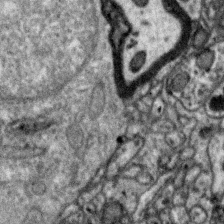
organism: Zebra finch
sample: Brain